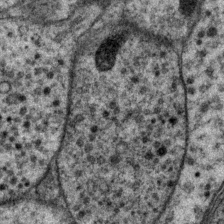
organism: P. pacificus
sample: Pharynx